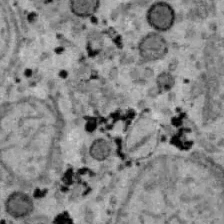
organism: Mouse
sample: Liver from an obese (ob/ob) mouse